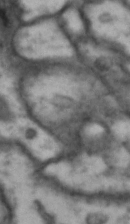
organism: Drosophila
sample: Brain